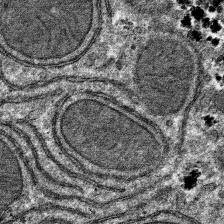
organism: Mouse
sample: Mouse hepatocytes